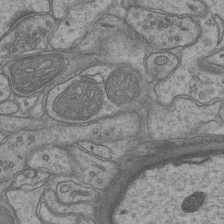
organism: Mouse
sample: CA1 Hippocampus